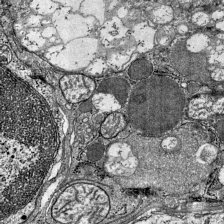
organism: Mouse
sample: Visual Cortex